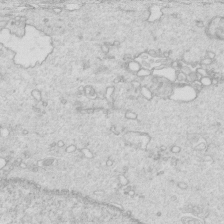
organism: Mouse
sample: Multiciliated cells